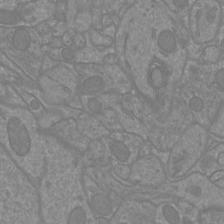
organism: Mouse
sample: Cortical neurons